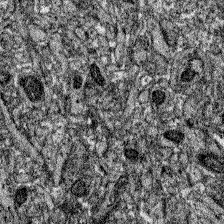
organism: Zebrafish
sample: Larval olfactory bulb